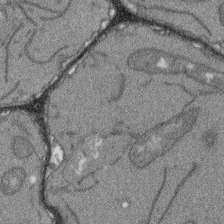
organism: Arabidopsis thaliana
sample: Root tip